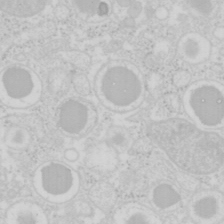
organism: Mouse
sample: Pancreas